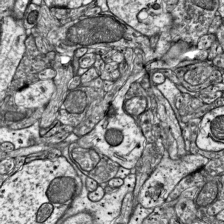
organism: Mouse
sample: Visual Cortex